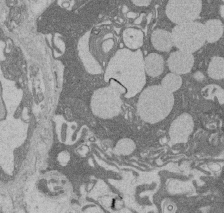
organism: Rat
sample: Salivary granule